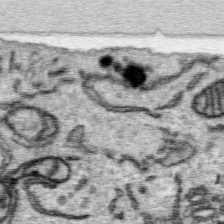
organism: Human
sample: HeLa cells